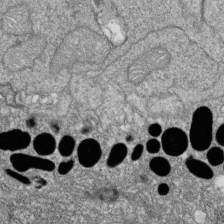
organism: Zebrafish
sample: Cilia; retinal pigment epithelium